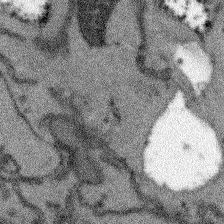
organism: Arabidopsis thaliana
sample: Root tip